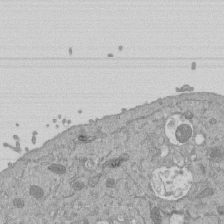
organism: Mouse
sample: ED-1 cell nuclei; centrioles